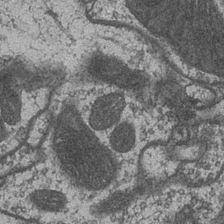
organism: Drosophila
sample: Optic medulla